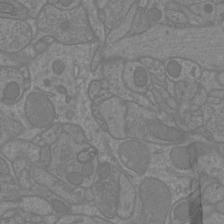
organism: Mouse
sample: Cortical neurons